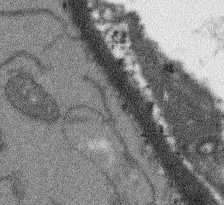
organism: Arabidopsis thaliana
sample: Root tip